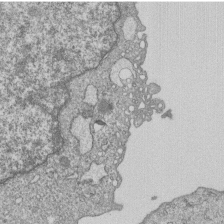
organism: Human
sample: MDA-MB-231 cells